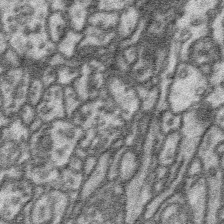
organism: Platynereis dumerilii